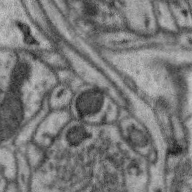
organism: Zebra finch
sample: Brain